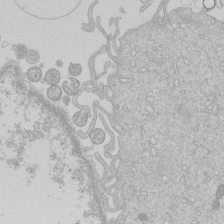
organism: Human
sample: Macrophage cells